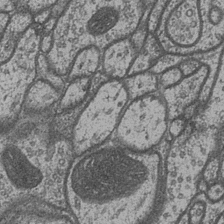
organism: Drosophila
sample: Optic medulla